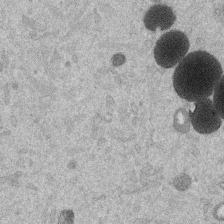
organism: Mouse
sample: Dividing mouse embryo 1 cell stage